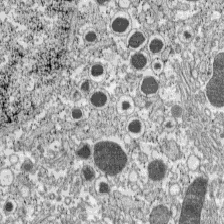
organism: C57BL Mouse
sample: Pancreatic islet